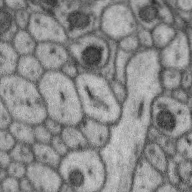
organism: Zebra finch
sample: Brain